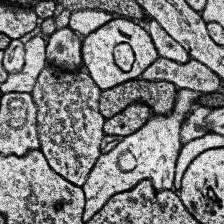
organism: Human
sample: Temporal Lobe